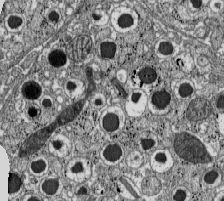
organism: C57BL Mouse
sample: Pancreatic islet